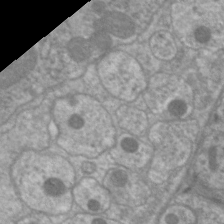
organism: C. elegans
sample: Pharynx